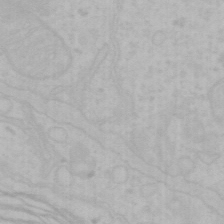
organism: Mouse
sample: Choroid plexus